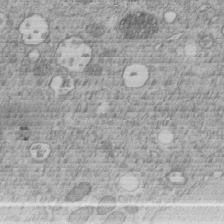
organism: C. elegans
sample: C. elegans embryo early stage